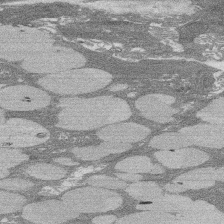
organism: Rat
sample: Salivary granule